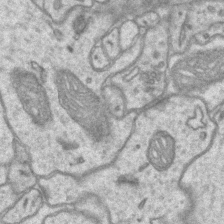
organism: Mouse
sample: CA1 Hippocampus